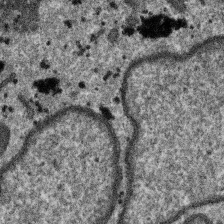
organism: Human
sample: Lung epithelial cells infected with SARS-CoV-2